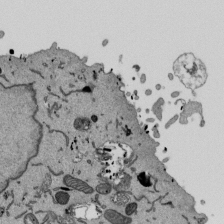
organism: Mouse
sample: ED-1 cell nuclei; centrioles